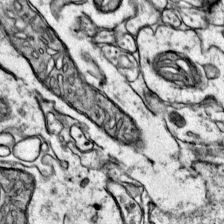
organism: Mouse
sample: Primary visual cortex